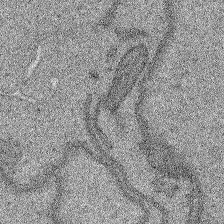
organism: Human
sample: HeLa cells